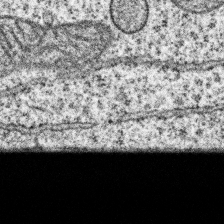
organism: Human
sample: HeLa cells